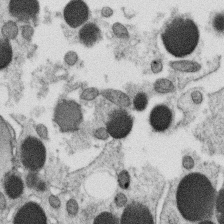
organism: C. elegans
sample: C. elegans oocyte; sperm cells